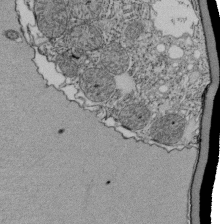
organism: Tetrahymena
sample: Cilia in tetrahymena